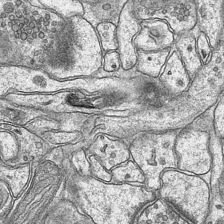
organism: Mouse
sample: CA1 Hippocampus